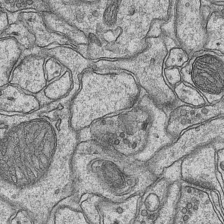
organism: Mouse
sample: CA1 Hippocampus